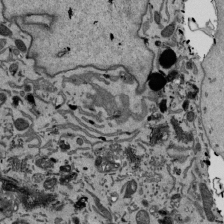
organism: Mouse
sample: ED-1 cell nuclei; centrioles